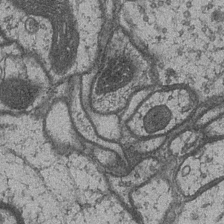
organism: Drosophila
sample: Optic medulla